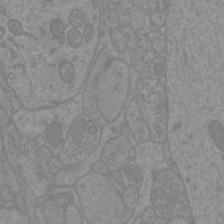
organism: Mouse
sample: Cortical neurons